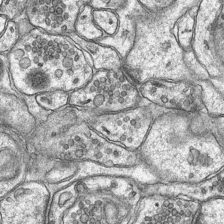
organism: Mouse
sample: CA1 Hippocampus